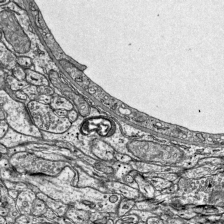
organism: Mouse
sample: Visual Cortex